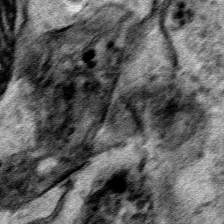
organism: Human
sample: Mitochondria in HCT116 cells